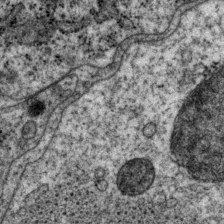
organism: P. pacificus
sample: Pharynx